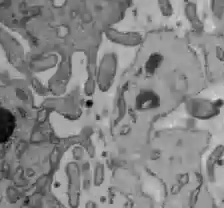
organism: C57BL Mouse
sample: Liver